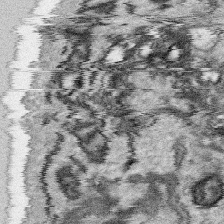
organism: Human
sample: HeLa cells